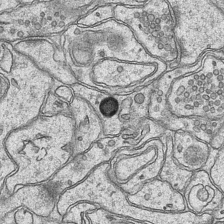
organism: Mouse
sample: CA1 Hippocampus